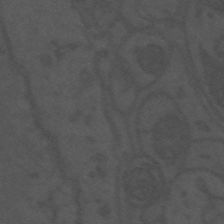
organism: Mouse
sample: Suprachiasmatic nucleus